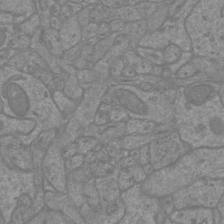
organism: Mouse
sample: Cortical neurons